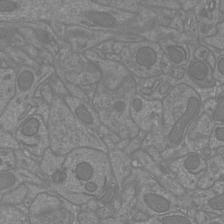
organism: Mouse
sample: Cortical neurons